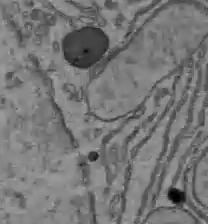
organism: C57BL Mouse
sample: Liver